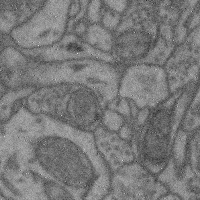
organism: Mouse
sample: Cerebral cortex